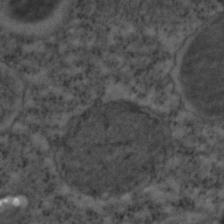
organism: C. elegans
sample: C. elegans embryo